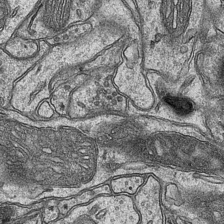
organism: Mouse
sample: CA1 Hippocampus